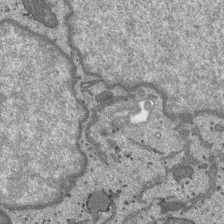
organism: Human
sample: Lung epithelial cells infected with SARS-CoV-2